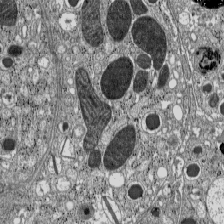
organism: C57BL Mouse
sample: Pancreatic islet